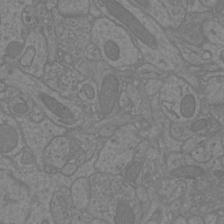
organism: Mouse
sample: Cortical neurons